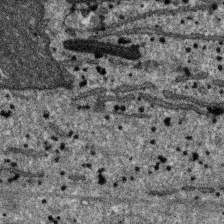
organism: Human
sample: Lung epithelial cells infected with SARS-CoV-2